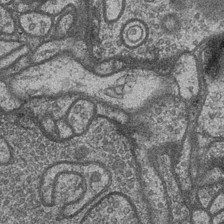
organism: Drosophila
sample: Optic medulla